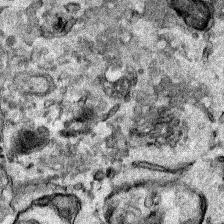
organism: Human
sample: Mitochondria in HCT116 cells